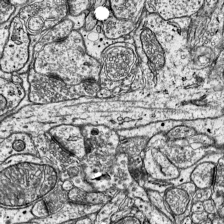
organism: Mouse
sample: Visual Cortex